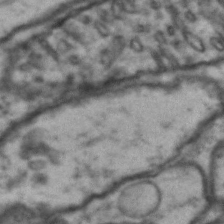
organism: Drosophila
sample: Brain